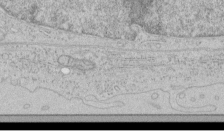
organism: Human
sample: Mitochondria in HCT116 cells